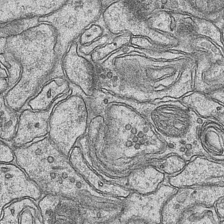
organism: Mouse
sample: CA1 Hippocampus